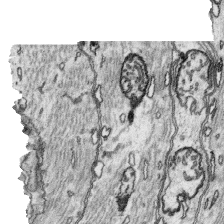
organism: Platynereis dumerilii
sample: Parapodia